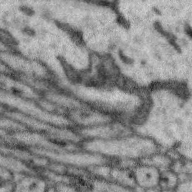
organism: Zebra finch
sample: Brain